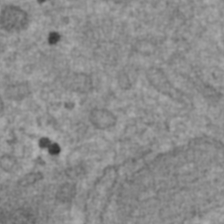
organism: Human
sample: Blood